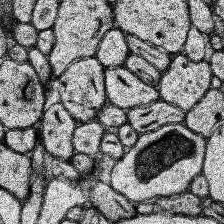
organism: Human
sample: Temporal Lobe